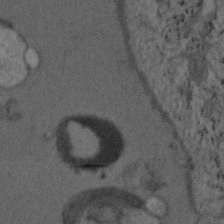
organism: Human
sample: HeLa cells